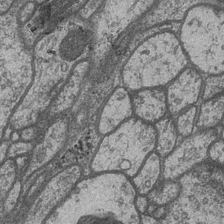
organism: Drosophila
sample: Optic medulla